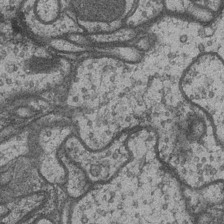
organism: Drosophila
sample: Optic medulla